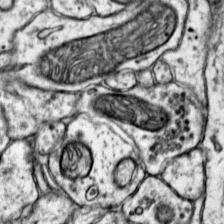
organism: Mouse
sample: Primary visual cortex